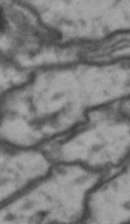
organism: Drosophila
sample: Brain